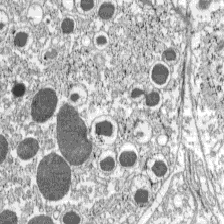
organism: C57BL Mouse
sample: Pancreatic islet